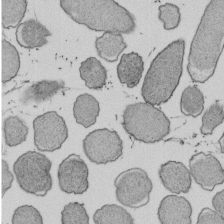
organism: E. coli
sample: Bacterial nucleoid